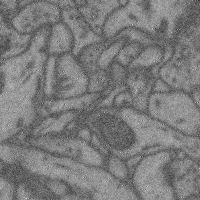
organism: Mouse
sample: Cerebral cortex